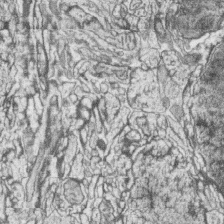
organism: Zebrafish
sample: synaptic ribbons in rod cells and cone cells